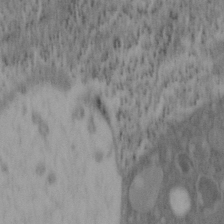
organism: Mouse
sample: OT-I killer T cells with ID8 ovarian cancer cells